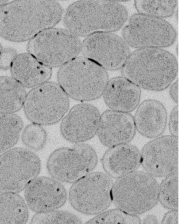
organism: E. coli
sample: Bacterial nucleoid